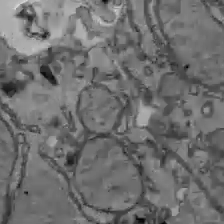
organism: C57BL Mouse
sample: Liver